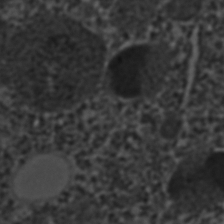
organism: C. elegans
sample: C. elegans embryo